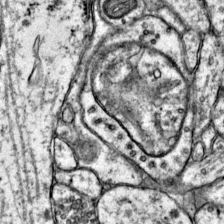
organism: Mouse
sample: Primary visual cortex